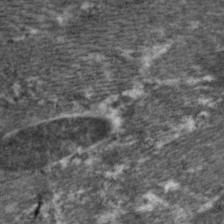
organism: C. elegans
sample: Pharynx